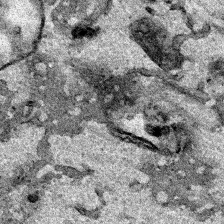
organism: Human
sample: Mitochondria in HCT116 cells